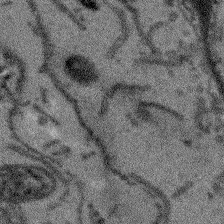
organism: Arabidopsis thaliana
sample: Root tip